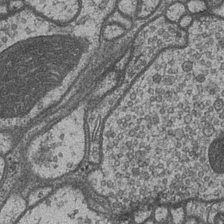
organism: Drosophila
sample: Optic medulla